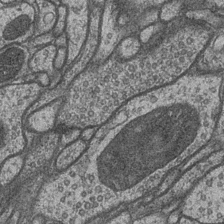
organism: Drosophila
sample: Optic medulla